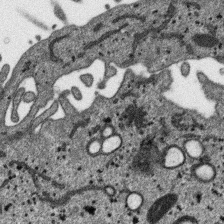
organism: Human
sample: Lung epithelial cells infected with SARS-CoV-2